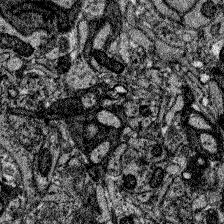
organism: Zebrafish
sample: Larval olfactory bulb